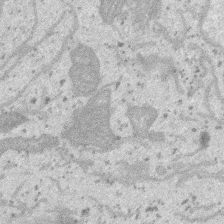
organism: Human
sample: Lung epithelial cells infected with SARS-CoV-2